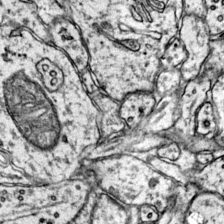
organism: Mouse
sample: Primary visual cortex